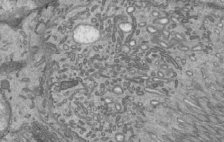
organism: Mouse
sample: Mouse epididymis efferent ductule cilia